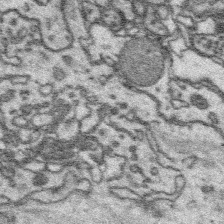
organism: Platynereis dumerilii